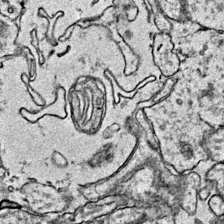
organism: Mouse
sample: Primary visual cortex